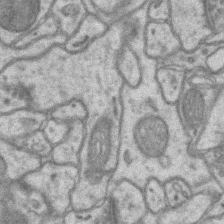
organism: Mouse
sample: CA1 Hippocampus